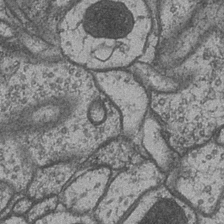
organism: Drosophila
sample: Optic medulla